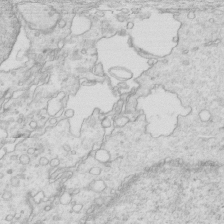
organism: Mouse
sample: Multiciliated cells